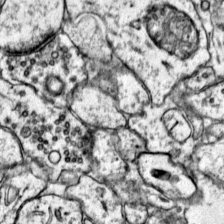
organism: Mouse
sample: Primary visual cortex